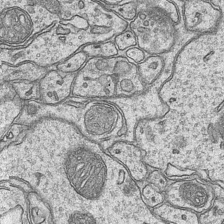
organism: Mouse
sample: CA1 Hippocampus